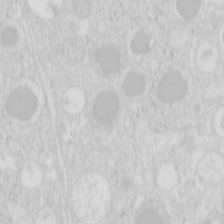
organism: Mouse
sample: Pancreas